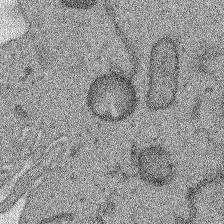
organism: Human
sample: HeLa cells